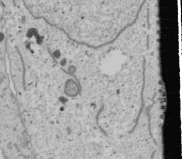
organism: Human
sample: Mitochondria in U2OS cells